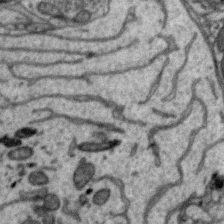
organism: Zebra finch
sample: Brain